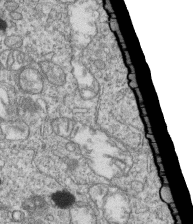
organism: Human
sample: HeLa cell HIV synapse